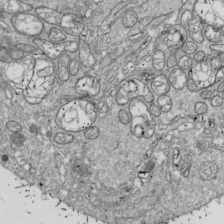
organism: Drosophila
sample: Cell division; meiosis; drosophila spermatocytes